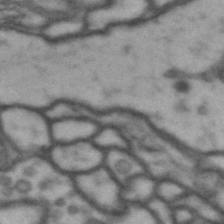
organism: Drosophila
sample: Brain